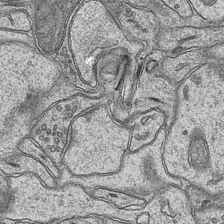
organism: Mouse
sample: CA1 Hippocampus